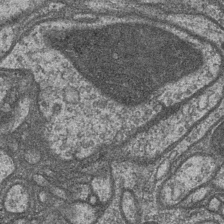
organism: Drosophila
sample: Optic medulla